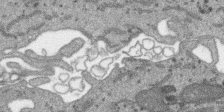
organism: Human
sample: Lung epithelial cells infected with SARS-CoV-2